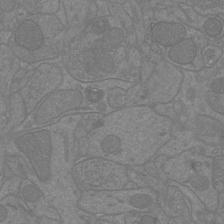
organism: Mouse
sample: Cortical neurons